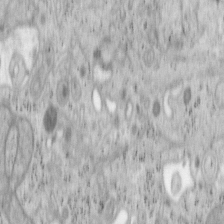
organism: Human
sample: HeLa cells